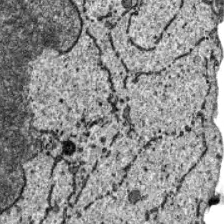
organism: Human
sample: HeLa cells